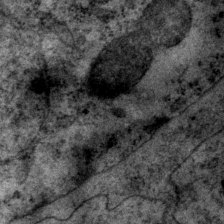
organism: P. pacificus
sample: Pharynx